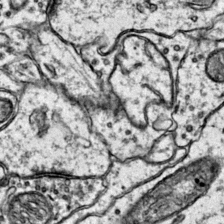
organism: Mouse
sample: Primary visual cortex